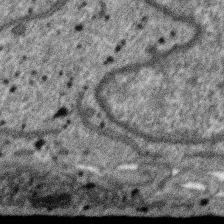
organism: Human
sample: Lung epithelial cells infected with SARS-CoV-2